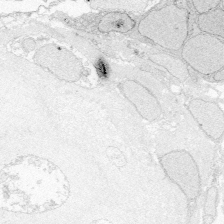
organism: Zebrafish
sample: Whole-Brain